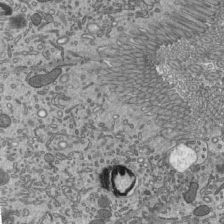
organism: Mouse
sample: Mouse epididymis efferent ductule cilia